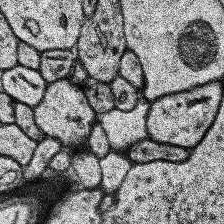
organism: Human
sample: Temporal Lobe